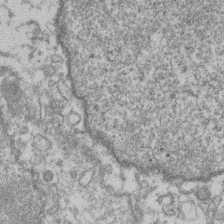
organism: Mouse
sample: T cell stromal cell synapse